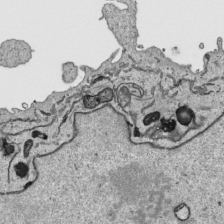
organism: Human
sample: Mitochondria in HCT116 cells